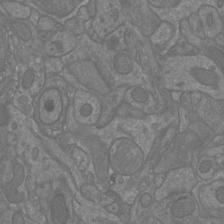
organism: Mouse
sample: Cortical neurons